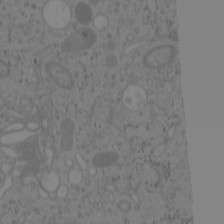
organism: Human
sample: HeLa cells